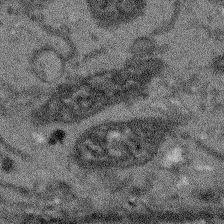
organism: Arabidopsis thaliana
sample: Root tip